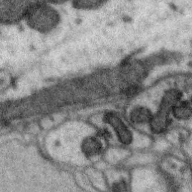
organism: Zebra finch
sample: Brain